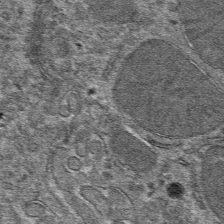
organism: Mouse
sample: Mouse hepatocytes